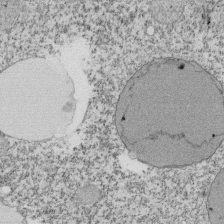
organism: Tetrahymena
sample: Cilia in tetrahymena